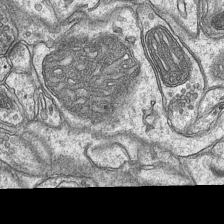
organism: Mouse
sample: CA1 Hippocampus